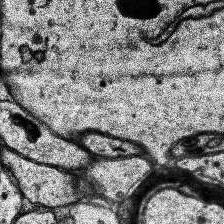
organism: Human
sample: Temporal Lobe